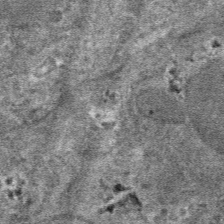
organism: Mouse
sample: Mouse hepatocytes